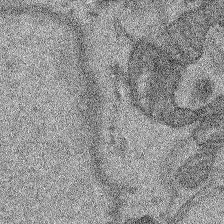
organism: Human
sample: HeLa cells